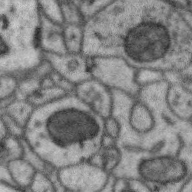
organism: Zebra finch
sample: Brain